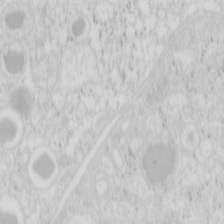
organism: Mouse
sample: Pancreas